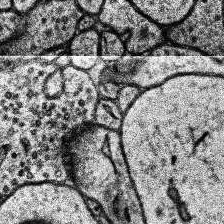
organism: Human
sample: Temporal Lobe